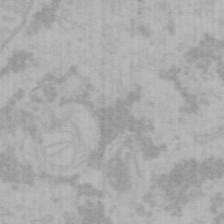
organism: Mouse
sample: Choroid plexus